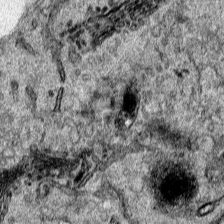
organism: Human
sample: Mitochondria in HCT116 cells